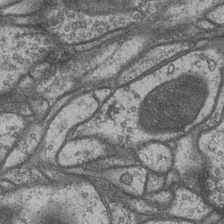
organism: Drosophila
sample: Optic medulla